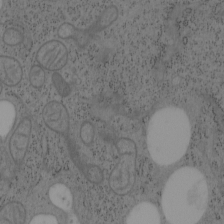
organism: Mouse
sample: OT-I killer T cells with ID8 ovarian cancer cells